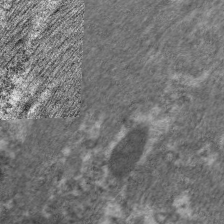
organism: C. elegans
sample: Pharynx